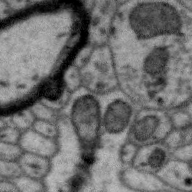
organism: Zebra finch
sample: Brain